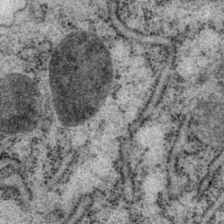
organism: P. pacificus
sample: Pharynx